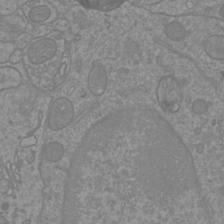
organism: Mouse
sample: Cortical neurons